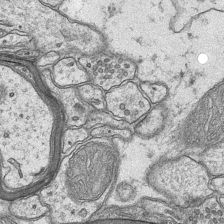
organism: Mouse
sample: CA1 Hippocampus